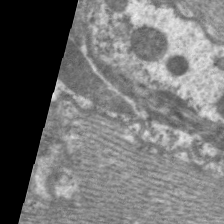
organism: C. elegans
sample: Pharynx